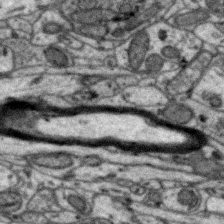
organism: Zebra finch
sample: Brain